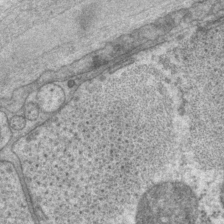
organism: P. pacificus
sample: Pharynx